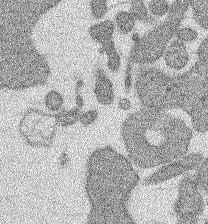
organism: Human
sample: HeLa cells